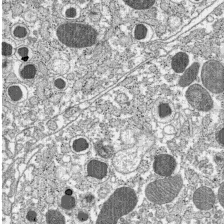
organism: C57BL Mouse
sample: Pancreatic islet